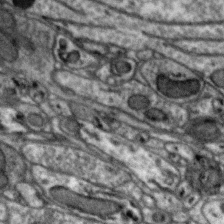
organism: Zebra finch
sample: Brain